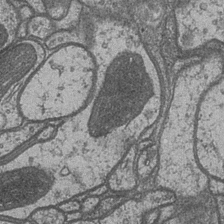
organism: Drosophila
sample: Optic medulla